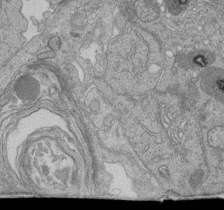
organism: Human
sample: Retinal organoid Rod and Cone cells